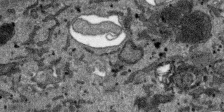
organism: Human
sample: Lung epithelial cells, uninfected (mock) control